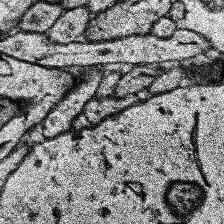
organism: Human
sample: Temporal Lobe